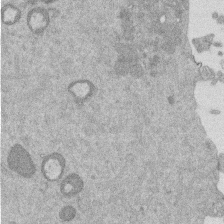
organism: Mouse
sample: Dividing mouse embryo 1 cell stage